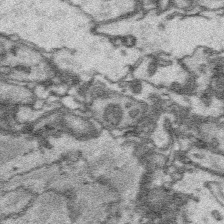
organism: Platynereis dumerilii